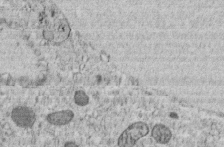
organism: C. elegans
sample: C. elegans embryo early stage